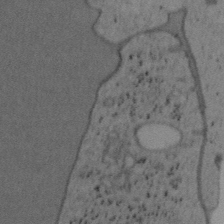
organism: Human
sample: HeLa cells